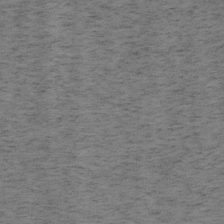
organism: Mouse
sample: OT-I killer T cells with ID8 ovarian cancer cells